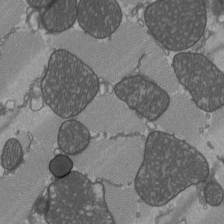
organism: C57BL Mouse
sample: Heart